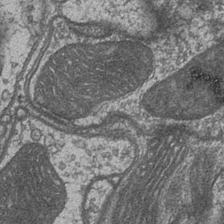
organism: Drosophila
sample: Optic medulla